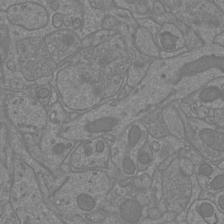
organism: Mouse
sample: Cortical neurons